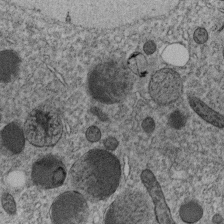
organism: C. elegans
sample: C. elegans embryo early stage